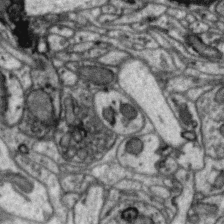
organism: Zebra finch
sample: Brain